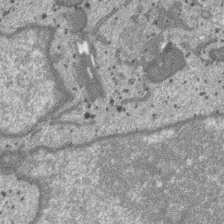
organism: Human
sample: Lung epithelial cells infected with SARS-CoV-2